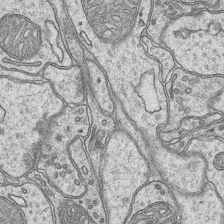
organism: Mouse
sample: CA1 Hippocampus